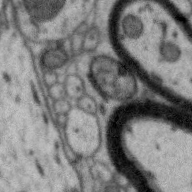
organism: Zebra finch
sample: Brain